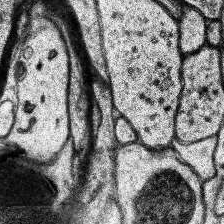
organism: Human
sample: Temporal Lobe